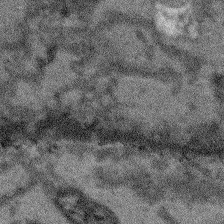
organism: Arabidopsis thaliana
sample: Root tip